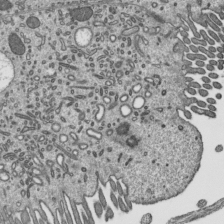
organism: Mouse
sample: Mouse epididymis efferent ductule cilia